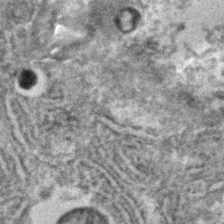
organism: C. elegans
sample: C. elegans embryo